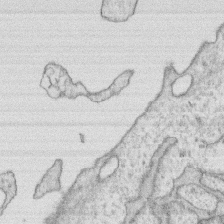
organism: Human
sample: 1205lu cells